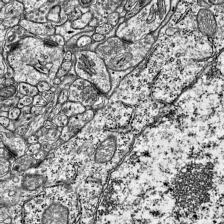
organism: Mouse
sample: Visual Cortex